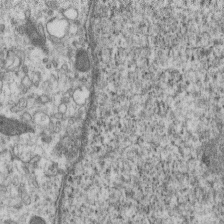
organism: Mouse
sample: Centriole in ependymal cells